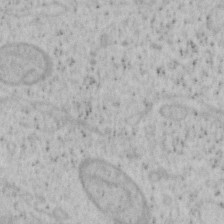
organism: Human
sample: HeLa cells